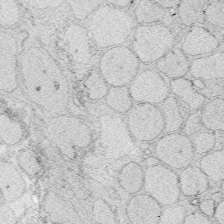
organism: Zebrafish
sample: Whole-Brain